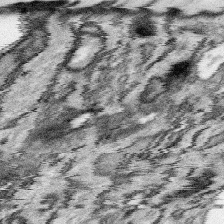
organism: Human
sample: HeLa cells